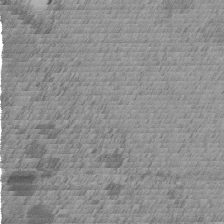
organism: C. elegans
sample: C. elegans embryo early stage